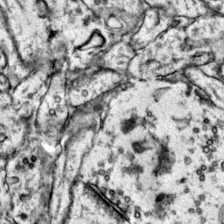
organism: Mouse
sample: Primary visual cortex